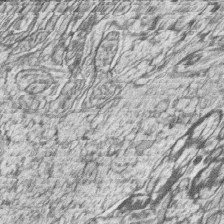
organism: Zebrafish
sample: synaptic ribbons in rod cells and cone cells